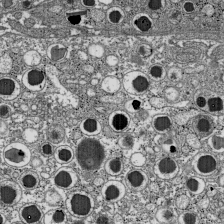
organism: C57BL Mouse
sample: Pancreatic islet